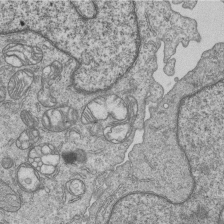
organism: Human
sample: MDA-MB-231 cells